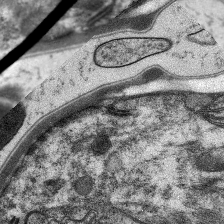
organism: C. elegans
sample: Pharynx